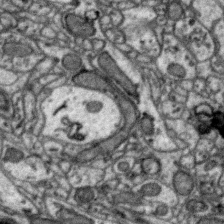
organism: Zebra finch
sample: Brain